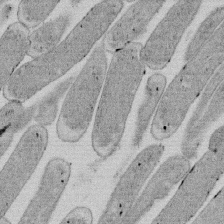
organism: E. coli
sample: Bacterial nucleoid